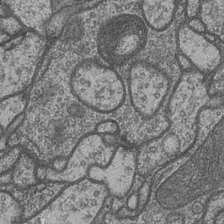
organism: Drosophila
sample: Optic medulla